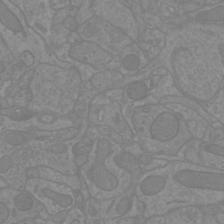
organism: Mouse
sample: Cortical neurons